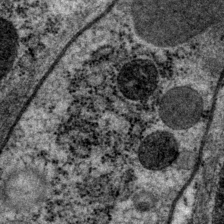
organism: P. pacificus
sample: Pharynx